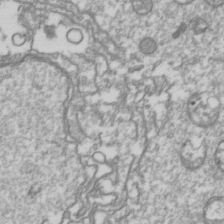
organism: Drosophila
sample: Cell division; meiosis; drosophila spermatocytes